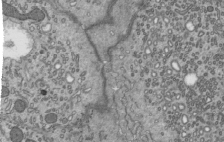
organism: Mouse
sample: Mouse epididymis efferent ductule cilia